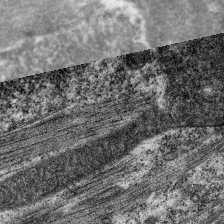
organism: C. elegans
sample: Pharynx